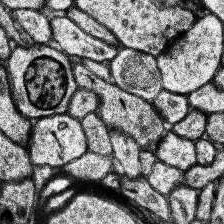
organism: Human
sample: Temporal Lobe